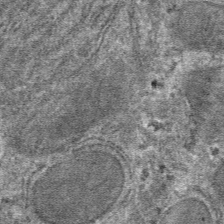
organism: Mouse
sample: Mouse hepatocytes